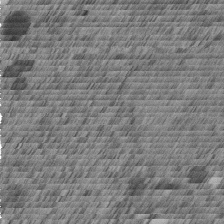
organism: C. elegans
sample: C. elegans embryo early stage